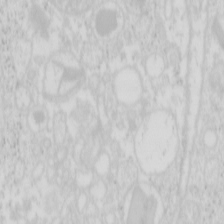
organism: Mouse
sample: Pancreas